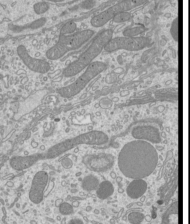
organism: Mouse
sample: Cilia; mouse epididymis